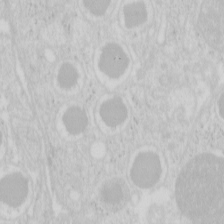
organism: Mouse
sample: Pancreas